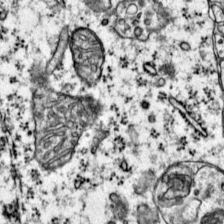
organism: Mouse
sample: Primary visual cortex